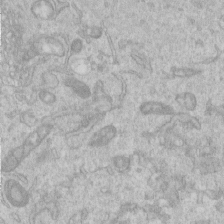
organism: Human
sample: Centriole in RPE cells